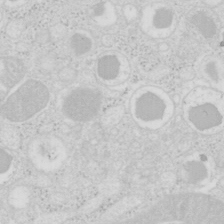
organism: Mouse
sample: Pancreas